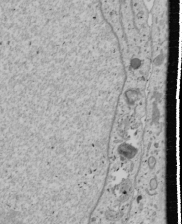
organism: Human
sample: Mitochondria in U2OS cells